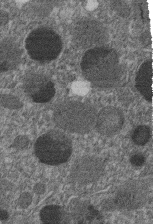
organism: C. elegans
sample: C. elegans embryo early stage